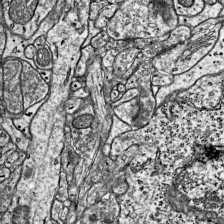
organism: Mouse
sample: Visual Cortex